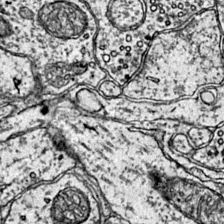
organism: Mouse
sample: Primary visual cortex